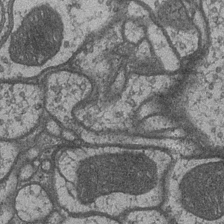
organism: Drosophila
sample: Optic medulla